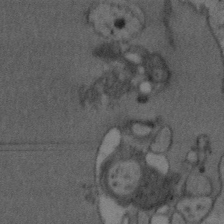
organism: Human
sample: HeLa cells